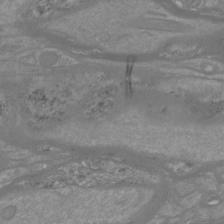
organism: Mouse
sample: Cortical neurons